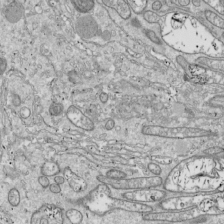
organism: Drosophila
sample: Cell division; meiosis; drosophila spermatocytes